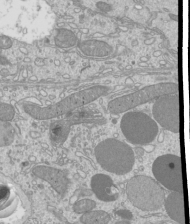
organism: Mouse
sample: Cilia; mouse epididymis